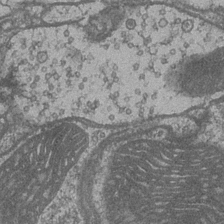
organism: Drosophila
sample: Optic medulla